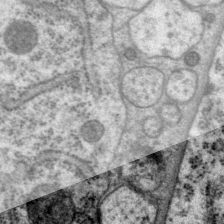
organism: P. pacificus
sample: Pharynx